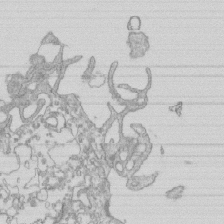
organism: Mouse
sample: Macrophages